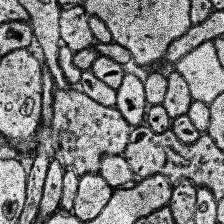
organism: Human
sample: Temporal Lobe